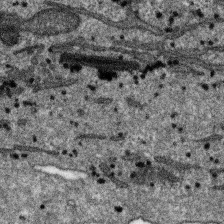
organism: Human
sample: Lung epithelial cells infected with SARS-CoV-2